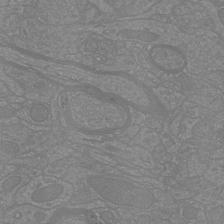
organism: Mouse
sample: Cortical neurons